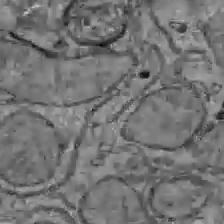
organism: C57BL Mouse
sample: Liver